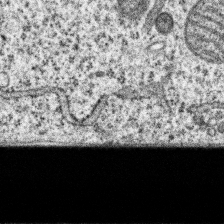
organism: Human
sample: HeLa cells